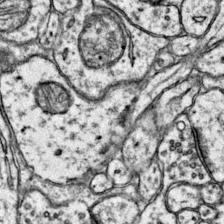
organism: Mouse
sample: Primary visual cortex